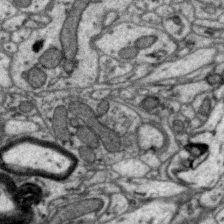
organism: Zebra finch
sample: Brain